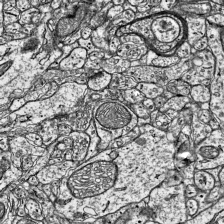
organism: Mouse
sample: Visual Cortex